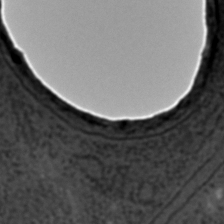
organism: C. elegans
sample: C. elegans embryo